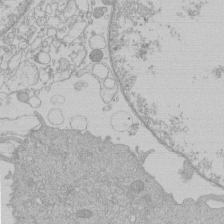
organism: Human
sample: Macrophage cells